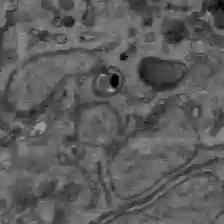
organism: C57BL Mouse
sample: Liver